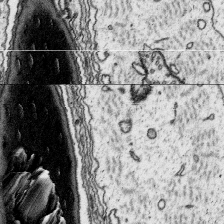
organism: Platynereis dumerilii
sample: Parapodia